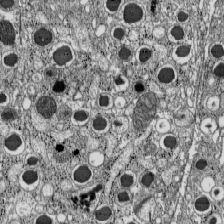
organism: C57BL Mouse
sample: Pancreatic islet